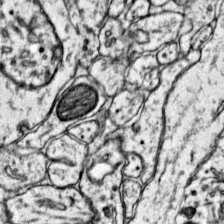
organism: Mouse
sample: Primary visual cortex